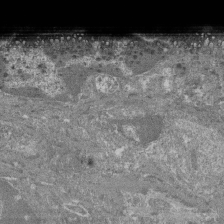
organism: Mouse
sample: Glomerulus